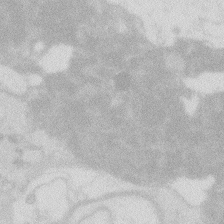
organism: Zebrafish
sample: Macrophage